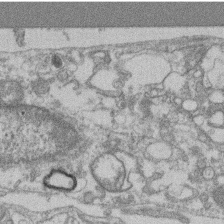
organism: Mouse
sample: T cell stromal cell synapse